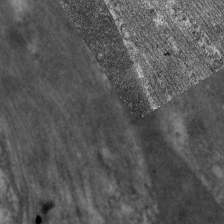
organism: C. elegans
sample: Pharynx